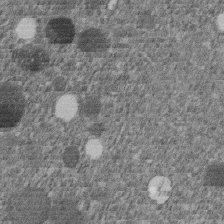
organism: C. elegans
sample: C. elegans embryo early stage